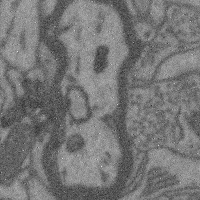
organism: Mouse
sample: Cerebral cortex